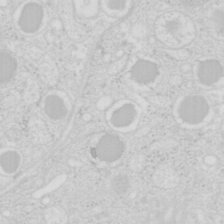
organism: Mouse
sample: Pancreas